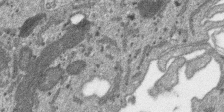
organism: Human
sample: Lung epithelial cells infected with SARS-CoV-2